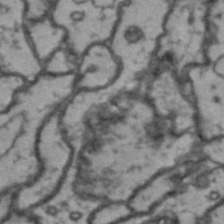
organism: Drosophila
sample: Brain